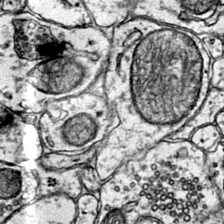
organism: Mouse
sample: Primary visual cortex